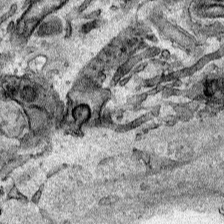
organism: Human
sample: Mitochondria in HCT116 cells